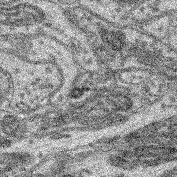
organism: Mouse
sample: Retina